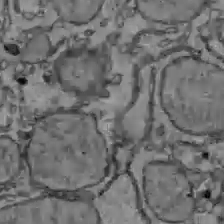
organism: C57BL Mouse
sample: Liver